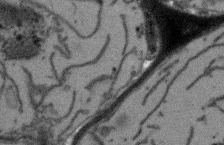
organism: Arabidopsis thaliana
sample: Root tip